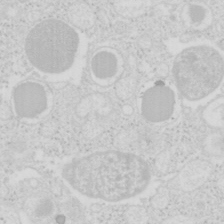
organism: Mouse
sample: Pancreas